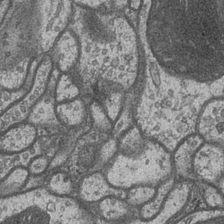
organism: Drosophila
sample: Optic medulla